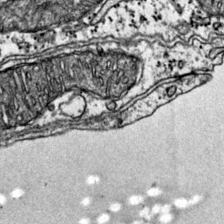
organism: Mouse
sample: Primary visual cortex